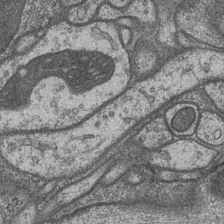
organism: Drosophila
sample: Optic medulla